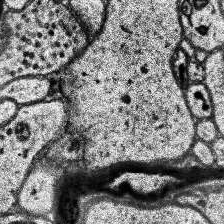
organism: Human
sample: Temporal Lobe